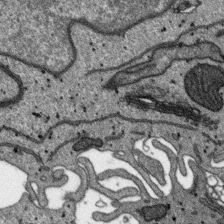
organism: Human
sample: Lung epithelial cells, uninfected (mock) control